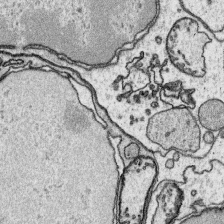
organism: Platynereis dumerilii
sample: Parapodia